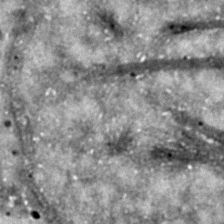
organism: C. elegans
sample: C. elegans embryo